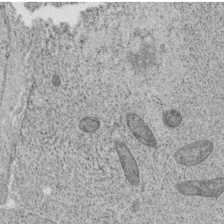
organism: C. elegans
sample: C. elegans oocyte; sperm cells